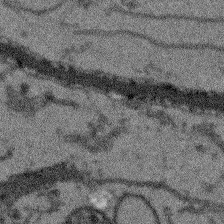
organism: Arabidopsis thaliana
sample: Root tip